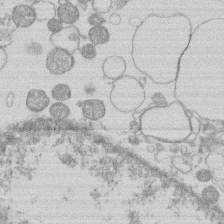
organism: Human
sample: Macrophage cells